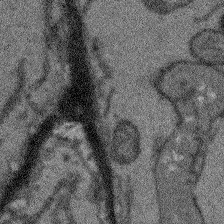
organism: Arabidopsis thaliana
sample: Root tip